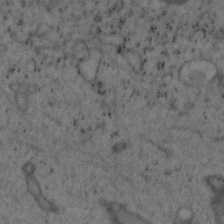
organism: Human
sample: HeLa cells